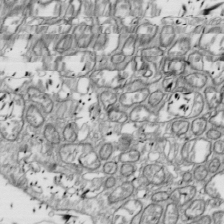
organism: Drosophila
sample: Cell division; meiosis; drosophila spermatocytes